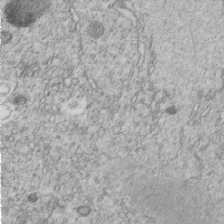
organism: C. elegans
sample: C. elegans embryo early stage